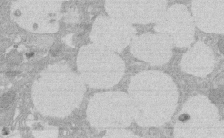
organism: Rat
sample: Salivary granule